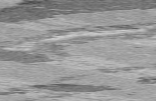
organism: C57BL Mouse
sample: Heart